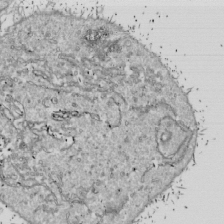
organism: Drosophila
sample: Cell division; meiosis; drosophila spermatocytes